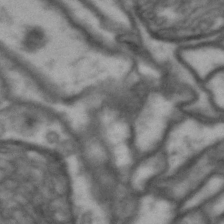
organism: Drosophila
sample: Brain